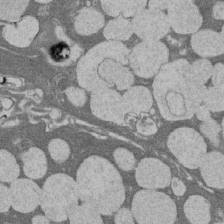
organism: Rat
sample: Salivary granule